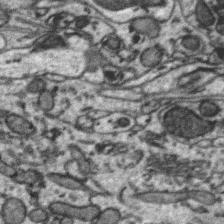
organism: Zebra finch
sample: Brain